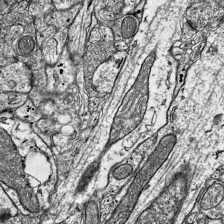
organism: Mouse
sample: Visual Cortex